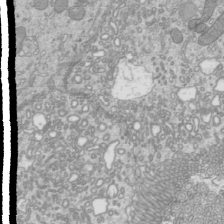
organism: Mouse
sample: Cilia; mouse epididymis